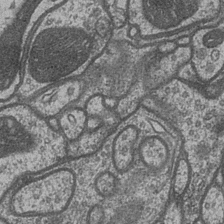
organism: Drosophila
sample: Optic medulla